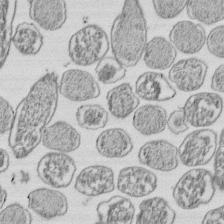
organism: E. coli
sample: Bacterial nucleoid